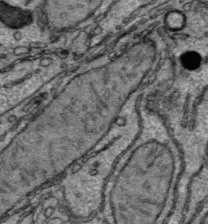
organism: C57BL Mouse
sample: Liver